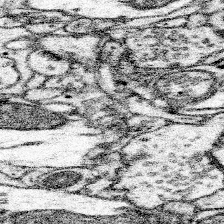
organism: Mouse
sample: Somatosensory cortex neuropil